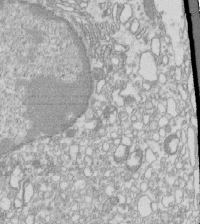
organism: Mouse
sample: Macrophages